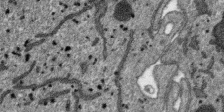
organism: Human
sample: Lung epithelial cells, uninfected (mock) control